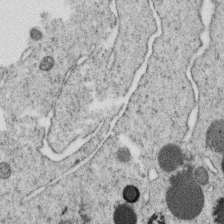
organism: C. elegans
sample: C. elegans oocyte; sperm cells